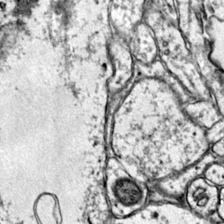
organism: Mouse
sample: Primary visual cortex